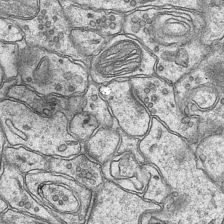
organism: Mouse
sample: CA1 Hippocampus